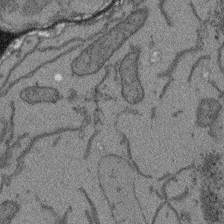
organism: Arabidopsis thaliana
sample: Root tip